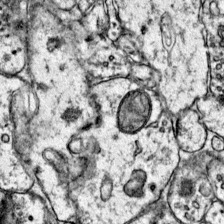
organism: Mouse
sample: Primary visual cortex